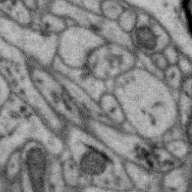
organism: Zebra finch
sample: Brain